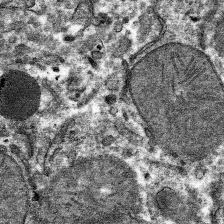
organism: Mouse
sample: Mouse hepatocytes